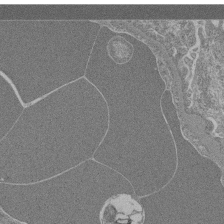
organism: Mouse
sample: Glomerulus